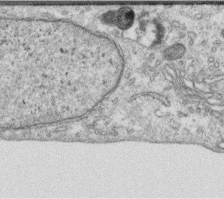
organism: Human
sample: Centriole in RPE cells